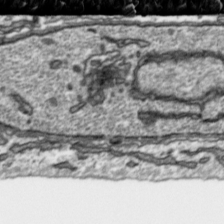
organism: Toxoplasma gondii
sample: Parasites in a vacuole inside a host cell